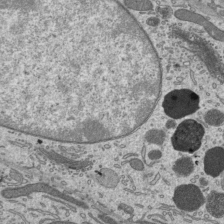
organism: Mouse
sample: Mouse epididymis efferent ductule cilia